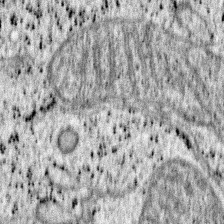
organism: Human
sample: HeLa cells